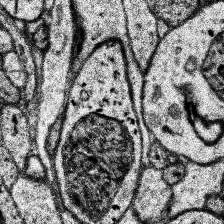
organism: Human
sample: Temporal Lobe